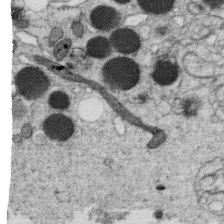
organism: C. elegans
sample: C. elegans oocyte; sperm cells